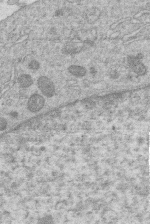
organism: Human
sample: Macrophage cells